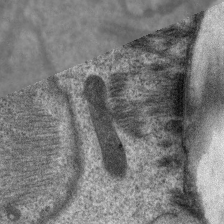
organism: C. elegans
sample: Pharynx